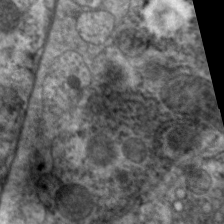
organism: C. elegans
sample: Pharynx